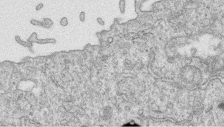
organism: Human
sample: HeLa cell HIV synapse